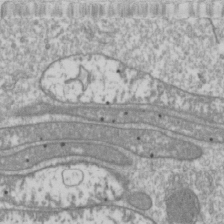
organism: Drosophila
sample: Cell division; meiosis; drosophila spermatocytes